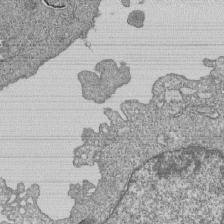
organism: Human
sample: MDA-MB-231 cells